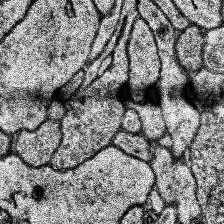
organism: Human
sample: Temporal Lobe